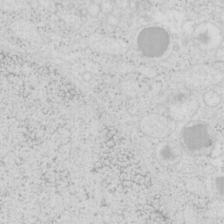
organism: Mouse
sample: Pancreas